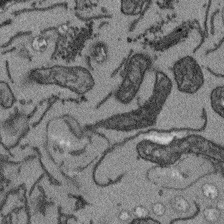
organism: Arabidopsis thaliana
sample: Root tip